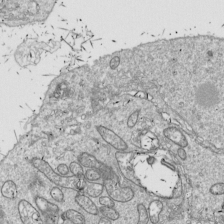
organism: Drosophila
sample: Cell division; meiosis; drosophila spermatocytes